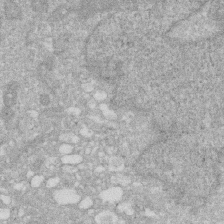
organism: Human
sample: HIV infected U937 cells